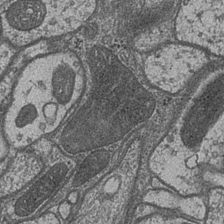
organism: Drosophila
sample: Optic medulla